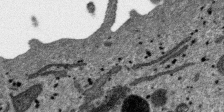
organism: Human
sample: Lung epithelial cells, uninfected (mock) control